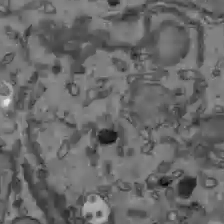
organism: C57BL Mouse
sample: Liver